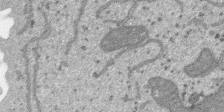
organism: Human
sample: Lung epithelial cells infected with SARS-CoV-2